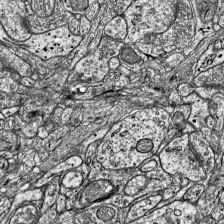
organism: Mouse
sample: Visual Cortex